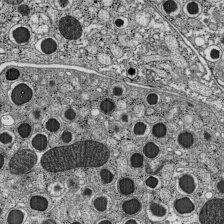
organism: C57BL Mouse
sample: Pancreatic islet